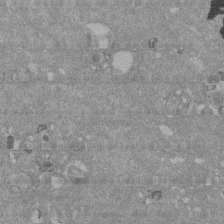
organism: Mouse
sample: ED-1 cell nuclei; centrioles